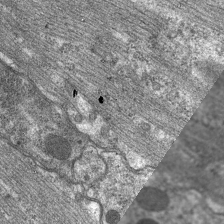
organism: C. elegans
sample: Pharynx